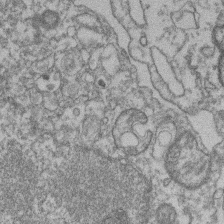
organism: Mouse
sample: T cell stromal cell synapse